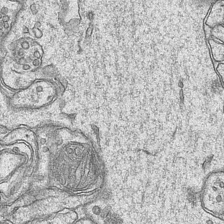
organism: Mouse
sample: CA1 Hippocampus